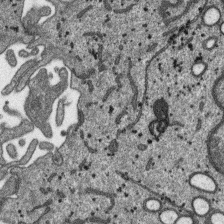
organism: Human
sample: Lung epithelial cells infected with SARS-CoV-2